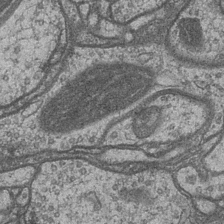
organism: Drosophila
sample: Optic medulla